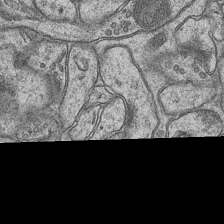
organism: Mouse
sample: CA1 Hippocampus